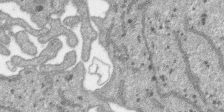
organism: Human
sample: Lung epithelial cells infected with SARS-CoV-2